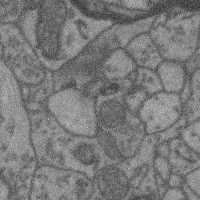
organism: Mouse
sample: Cerebral cortex